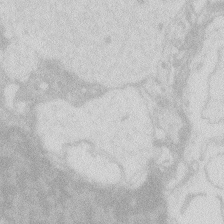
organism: Zebrafish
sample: Macrophage